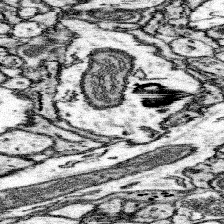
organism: Mouse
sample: Somatosensory cortex neuropil